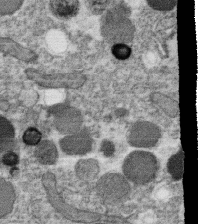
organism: C. elegans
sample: C. elegans oocyte; sperm cells